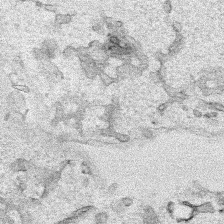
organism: Human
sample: Mitochondria in HCT116 cells